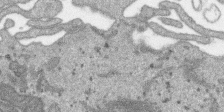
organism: Human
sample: Lung epithelial cells infected with SARS-CoV-2